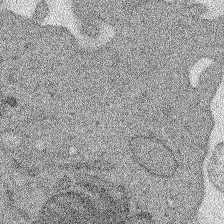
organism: Human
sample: HeLa cells